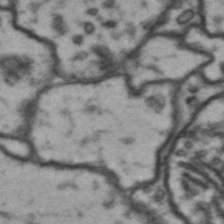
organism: Drosophila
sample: Brain